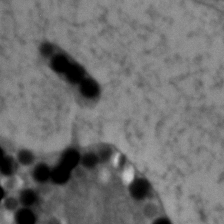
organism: Zebrafish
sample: Zebrafish embryo